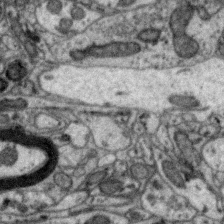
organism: Zebra finch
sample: Brain